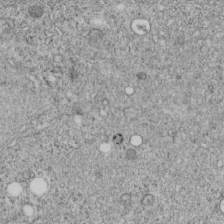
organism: C. elegans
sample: C. elegans embryo early stage